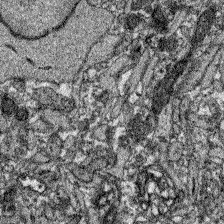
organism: Zebrafish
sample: Larval olfactory bulb